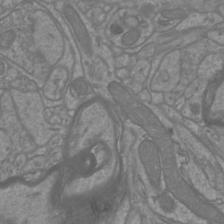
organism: Mouse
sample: Cortical neurons